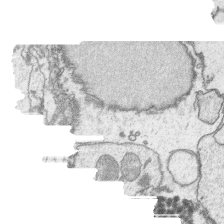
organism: Platynereis dumerilii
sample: Parapodia